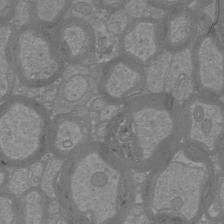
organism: Mouse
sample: Cortical neurons